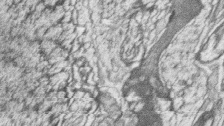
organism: Zebrafish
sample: synaptic ribbons in rod cells and cone cells